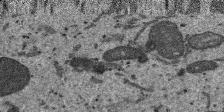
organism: Human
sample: Lung epithelial cells infected with SARS-CoV-2